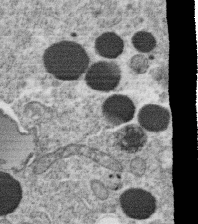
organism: C. elegans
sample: C. elegans oocyte; sperm cells